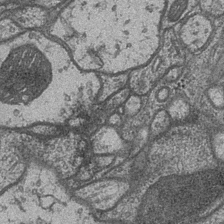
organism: Drosophila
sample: Optic medulla